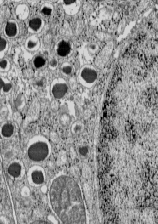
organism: C57BL Mouse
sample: Pancreatic islet